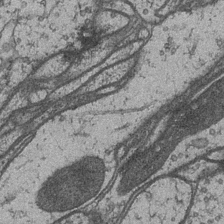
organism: Drosophila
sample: Optic medulla